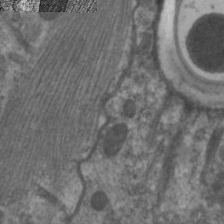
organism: C. elegans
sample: Pharynx